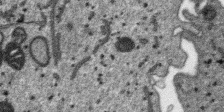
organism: Human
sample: Lung epithelial cells infected with SARS-CoV-2